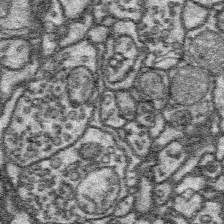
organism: Platynereis dumerilii